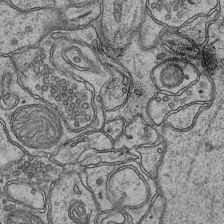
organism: Mouse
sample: CA1 Hippocampus